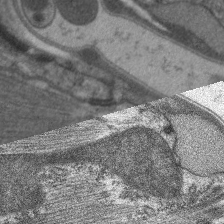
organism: C. elegans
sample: Pharynx